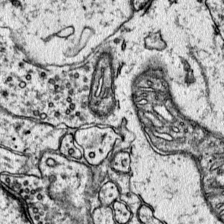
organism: Mouse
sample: Primary visual cortex